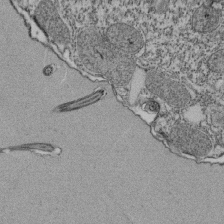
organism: Tetrahymena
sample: Cilia in tetrahymena